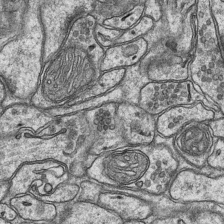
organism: Mouse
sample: CA1 Hippocampus